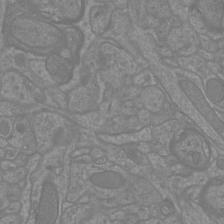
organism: Mouse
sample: Cortical neurons